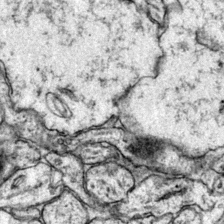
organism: Mouse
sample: Primary visual cortex